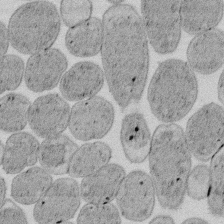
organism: E. coli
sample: Bacterial nucleoid